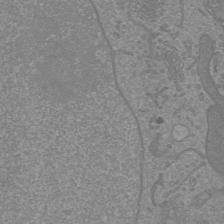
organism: Mouse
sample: Cortical neurons